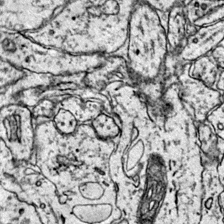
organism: Mouse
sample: Primary visual cortex